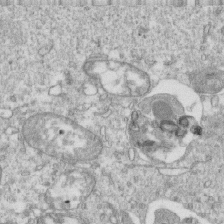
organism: Mouse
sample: Activated OT-1 CD8+ T cells